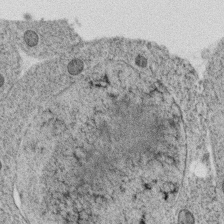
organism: C. elegans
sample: C. elegans oocyte; sperm cells